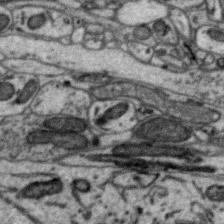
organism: Zebra finch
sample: Brain